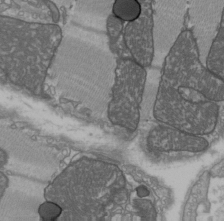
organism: C57BL Mouse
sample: Heart